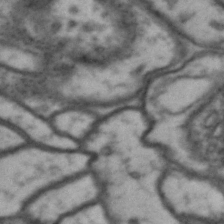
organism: Drosophila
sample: Brain